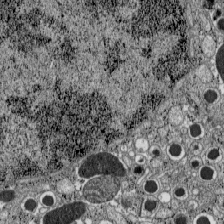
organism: C57BL Mouse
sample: Pancreatic islet